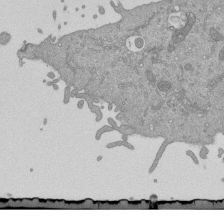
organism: Mouse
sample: ED-1 cell nuclei; centrioles